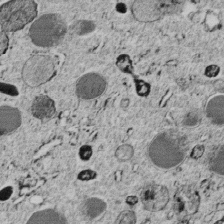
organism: C. elegans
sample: C. elegans embryo early stage